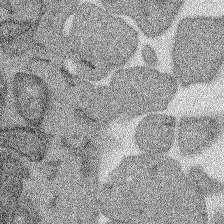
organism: Human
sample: HeLa cells